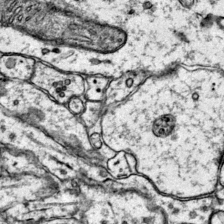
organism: Mouse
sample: Primary visual cortex